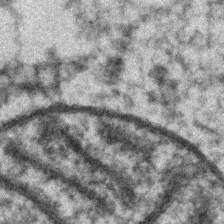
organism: Zebrafish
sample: Zebrafish embryo